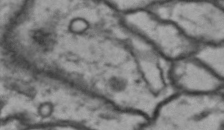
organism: Drosophila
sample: Brain